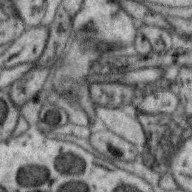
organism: Zebra finch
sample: Brain